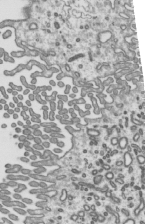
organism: Mouse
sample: Mouse epididymis efferent ductule cilia